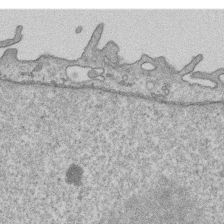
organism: Human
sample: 1205lu cells